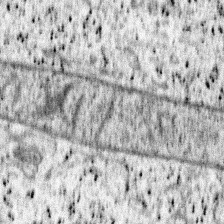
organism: Human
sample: HeLa cells